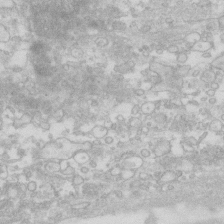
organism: Human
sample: Fibroblast cells